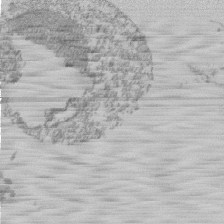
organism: Mouse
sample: Activated Pmel transgenic CD8+ T Cells